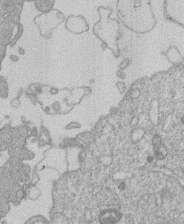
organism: Human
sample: Macrophage cells